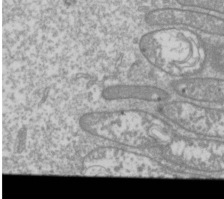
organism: Drosophila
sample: Cell division; meiosis; drosophila spermatocytes